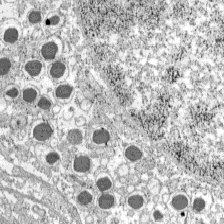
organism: C57BL Mouse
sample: Pancreatic islet